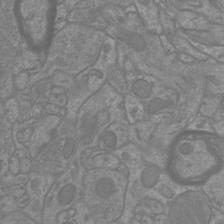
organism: Mouse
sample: Cortical neurons